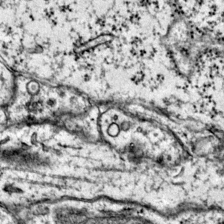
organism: Mouse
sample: Primary visual cortex